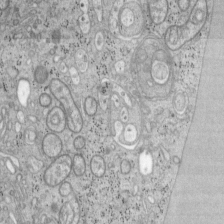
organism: Mouse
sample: OT-I killer T cells with ID8 ovarian cancer cells